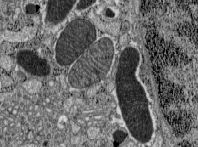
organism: C57BL Mouse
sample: Pancreatic islet